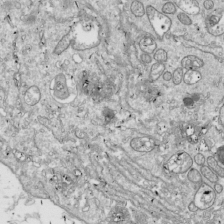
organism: Drosophila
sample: Cell division; meiosis; drosophila spermatocytes